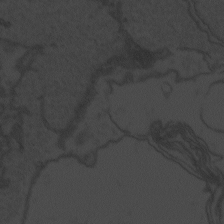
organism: Zebrafish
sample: Macrophage infected with Toxoplasma gondii